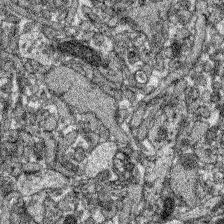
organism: Zebrafish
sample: Larval olfactory bulb